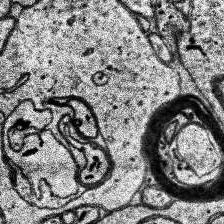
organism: Human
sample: Temporal Lobe